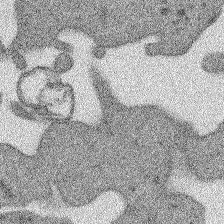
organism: Human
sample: HeLa cells